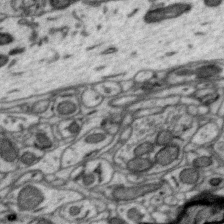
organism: Zebra finch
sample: Brain